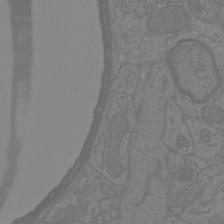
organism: Mouse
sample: Cortical neurons